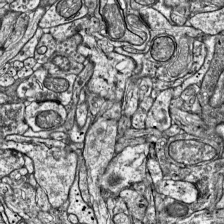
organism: Mouse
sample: Visual Cortex